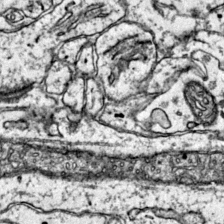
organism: Mouse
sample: Primary visual cortex